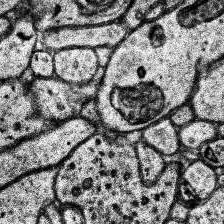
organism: Human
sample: Temporal Lobe